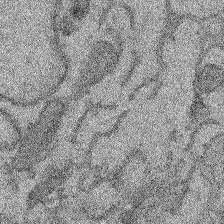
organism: Human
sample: HeLa cells